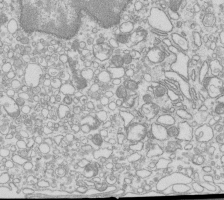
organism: Mouse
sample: Macrophages